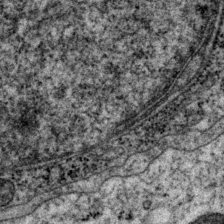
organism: P. pacificus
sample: Pharynx